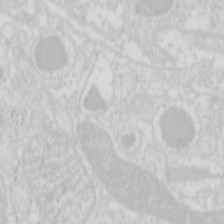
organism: Mouse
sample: Pancreas